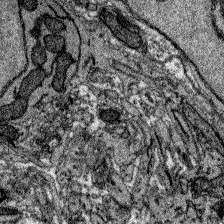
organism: Zebrafish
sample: Larval olfactory bulb